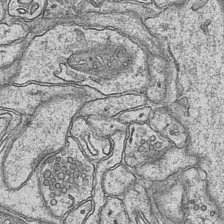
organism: Mouse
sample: CA1 Hippocampus